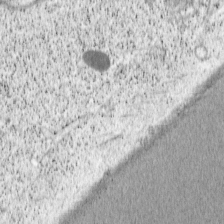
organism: African green monkey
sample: COS-7 cells